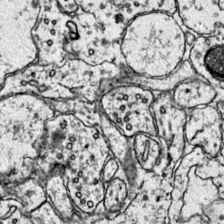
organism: Mouse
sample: Primary visual cortex